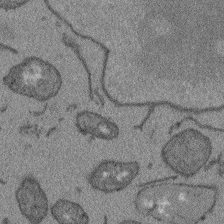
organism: Arabidopsis thaliana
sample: Root tip